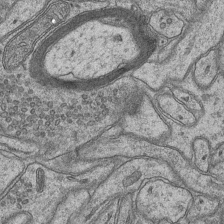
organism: Mouse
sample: CA1 Hippocampus